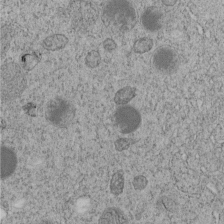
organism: C. elegans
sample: C. elegans embryo early stage